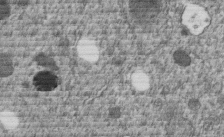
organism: C. elegans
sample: C. elegans embryo early stage